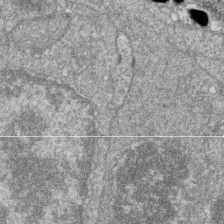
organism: Zebrafish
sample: Cilia; retinal pigment epithelium